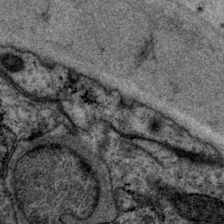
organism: P. pacificus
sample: Pharynx